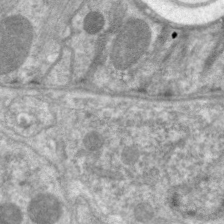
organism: C. elegans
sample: Pharynx